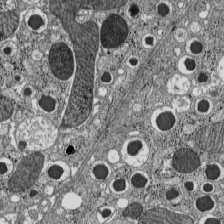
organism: C57BL Mouse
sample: Pancreatic islet